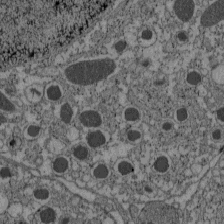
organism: C57BL Mouse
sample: Pancreatic islet